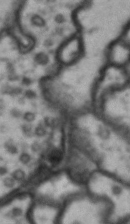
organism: Drosophila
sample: Brain